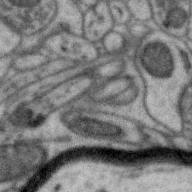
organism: Zebra finch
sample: Brain